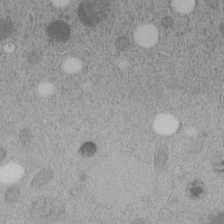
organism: C. elegans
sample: C. elegans embryo early stage